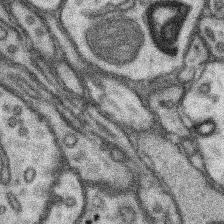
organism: Mouse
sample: Somatosensory cortex neuropil